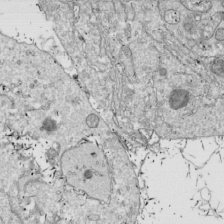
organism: Drosophila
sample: Cell division; meiosis; drosophila spermatocytes